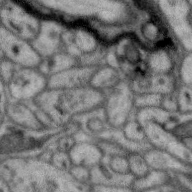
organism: Zebra finch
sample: Brain